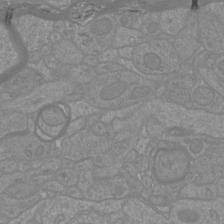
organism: Mouse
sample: Cortical neurons